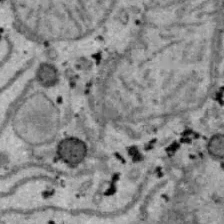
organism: Mouse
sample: Liver from an obese (ob/ob) mouse